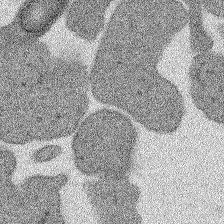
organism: Human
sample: HeLa cells